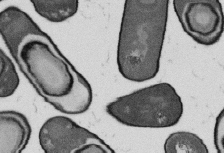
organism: B. subtilis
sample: Bacterial spore